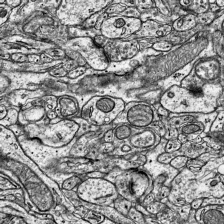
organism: Mouse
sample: Visual Cortex